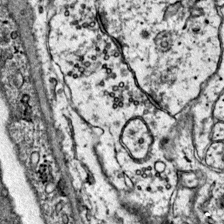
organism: Mouse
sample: Primary visual cortex